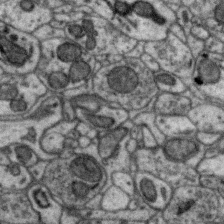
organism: Zebra finch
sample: Brain